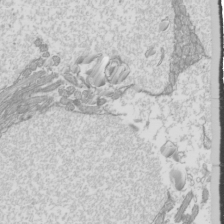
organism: Mouse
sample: Cilia; mouse epididymis